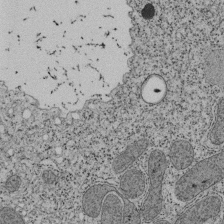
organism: Tetrahymena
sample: Cilia in tetrahymena